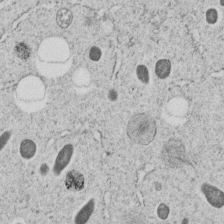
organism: C. elegans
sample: C. elegans embryo early stage